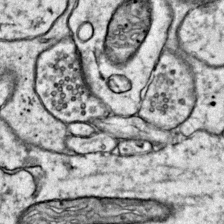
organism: Mouse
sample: Primary visual cortex